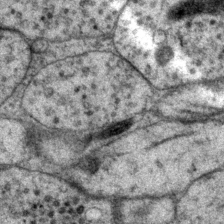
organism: P. pacificus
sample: Pharynx